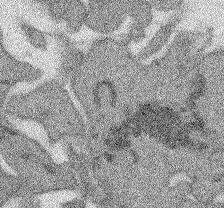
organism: Human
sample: HeLa cells